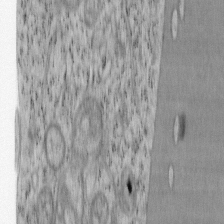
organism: Human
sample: HeLa cells